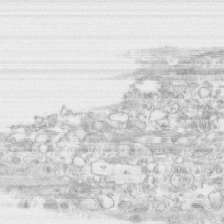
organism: Human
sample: CRL-1474